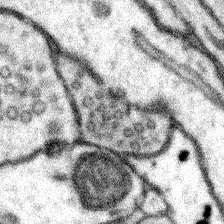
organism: Mouse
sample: Somatosensory cortex neuropil